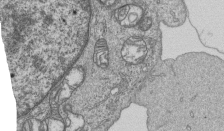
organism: Human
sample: MDA-MB-231 cells